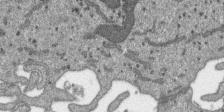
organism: Human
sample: Lung epithelial cells infected with SARS-CoV-2